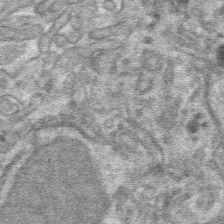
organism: Mouse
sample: Mouse hepatocytes